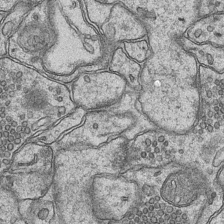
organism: Mouse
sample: CA1 Hippocampus